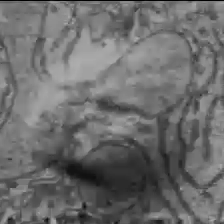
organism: C57BL Mouse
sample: Liver